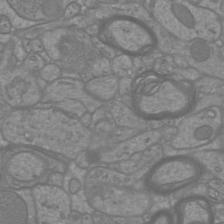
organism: Mouse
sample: Cortical neurons